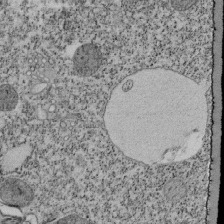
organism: Tetrahymena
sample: Cilia in tetrahymena